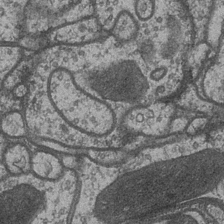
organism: Drosophila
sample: Optic medulla